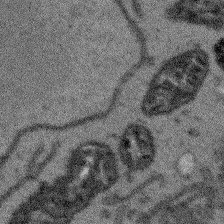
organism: Arabidopsis thaliana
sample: Root tip